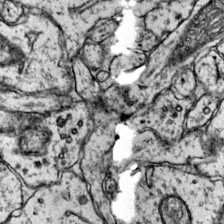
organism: Mouse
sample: Primary visual cortex